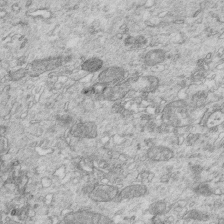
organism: Mouse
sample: Multiciliated cells